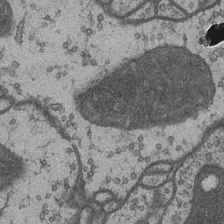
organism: Drosophila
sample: Optic medulla